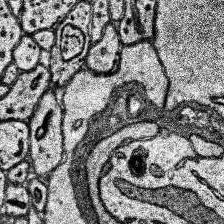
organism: Human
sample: Temporal Lobe